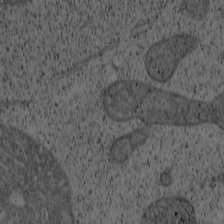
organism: African green monkey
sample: COS-7 cells